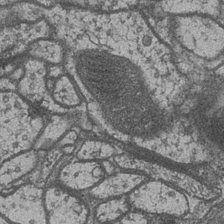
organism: Drosophila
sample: Optic medulla